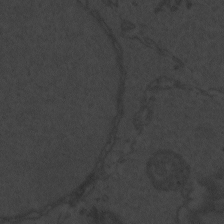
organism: Zebrafish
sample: Macrophage infected with Toxoplasma gondii